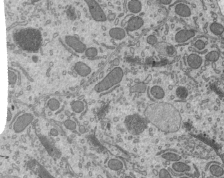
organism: Mouse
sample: Mouse epididymis efferent ductule cilia